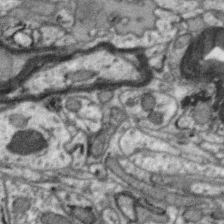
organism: Zebra finch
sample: Brain